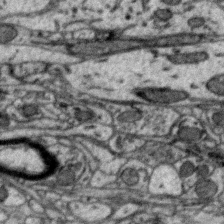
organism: Zebra finch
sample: Brain